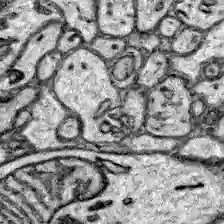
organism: Zebrafish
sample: Brain